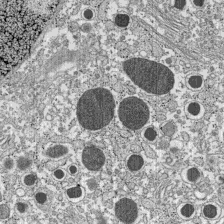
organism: C57BL Mouse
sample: Pancreatic islet